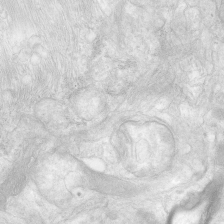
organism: Human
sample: Neocortex